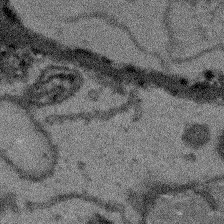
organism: Arabidopsis thaliana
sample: Root tip